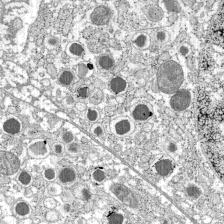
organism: C57BL Mouse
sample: Pancreatic islet